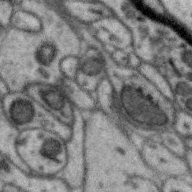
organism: Zebra finch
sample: Brain